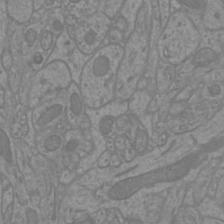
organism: Mouse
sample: Cortical neurons